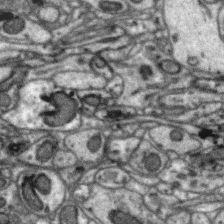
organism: Zebra finch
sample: Brain